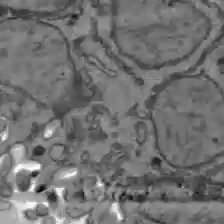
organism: C57BL Mouse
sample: Liver